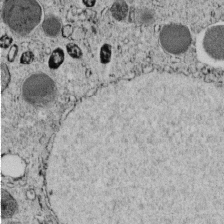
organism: C. elegans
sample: C. elegans embryo early stage